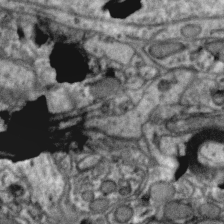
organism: Zebra finch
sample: Brain